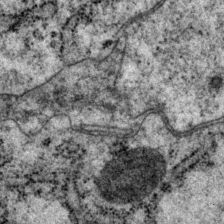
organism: P. pacificus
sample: Pharynx